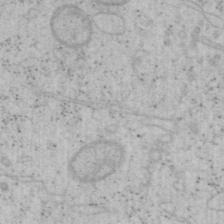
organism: Human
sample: HeLa cells